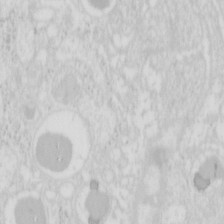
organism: Mouse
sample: Pancreas